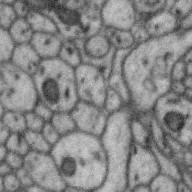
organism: Zebra finch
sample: Brain